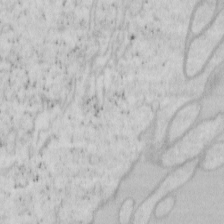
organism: Human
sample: HeLa cells